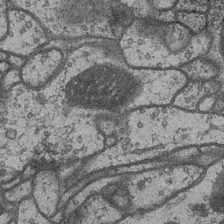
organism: Drosophila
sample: Optic medulla